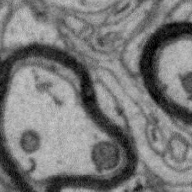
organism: Zebra finch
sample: Brain